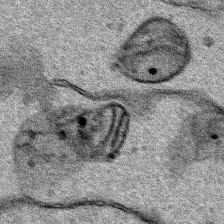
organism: Human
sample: Mitochondria in HCT116 cells